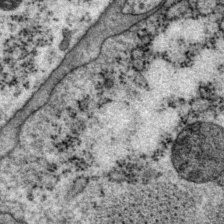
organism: P. pacificus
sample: Pharynx